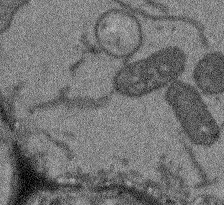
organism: Arabidopsis thaliana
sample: Root tip